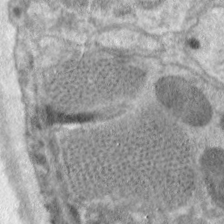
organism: C. elegans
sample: Pharynx